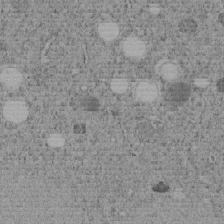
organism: C. elegans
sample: C. elegans embryo early stage